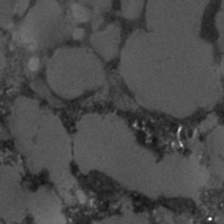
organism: C. elegans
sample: C. elegans embryo